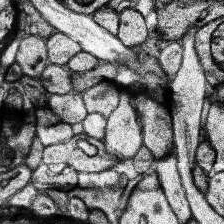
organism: Human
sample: Temporal Lobe